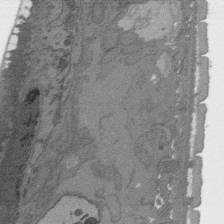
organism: C. elegans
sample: AFD neurons C. elegans